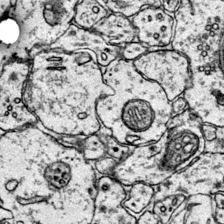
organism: Mouse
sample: Primary visual cortex